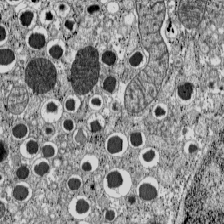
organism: C57BL Mouse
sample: Pancreatic islet